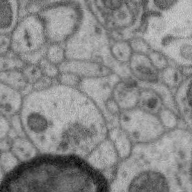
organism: Zebra finch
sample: Brain